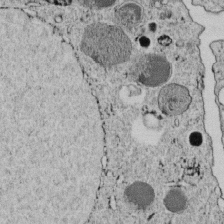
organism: C. elegans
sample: C. elegans embryo early stage